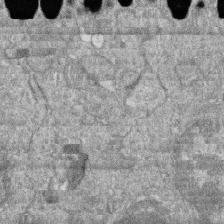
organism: Zebrafish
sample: Cilia; retinal pigment epithelium